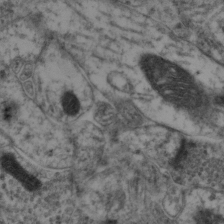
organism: Mouse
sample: Neocortex